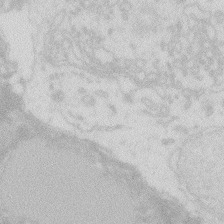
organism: Zebrafish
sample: Macrophage